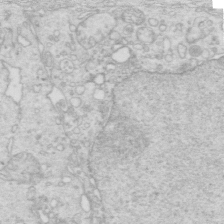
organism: Mouse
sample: Multiciliated cells